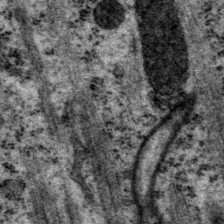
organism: P. pacificus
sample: Pharynx